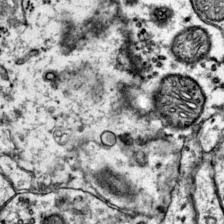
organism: Mouse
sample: Primary visual cortex